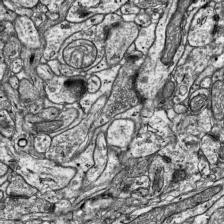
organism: Mouse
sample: Visual Cortex